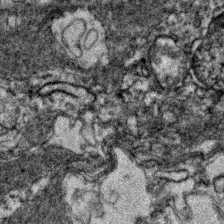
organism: Zebrafish